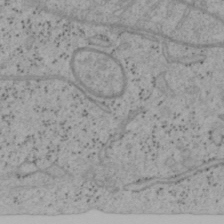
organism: Human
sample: HeLa cells